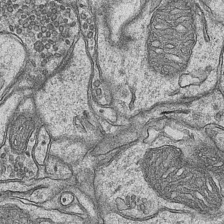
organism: Mouse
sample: CA1 Hippocampus